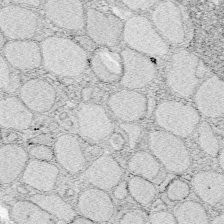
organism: Zebrafish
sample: Whole-Brain